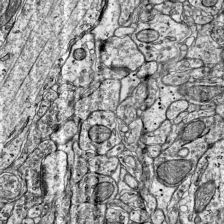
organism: Mouse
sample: Visual Cortex